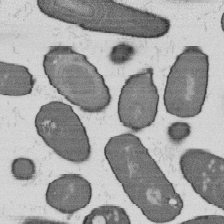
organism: B. subtilis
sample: Bacterial spore